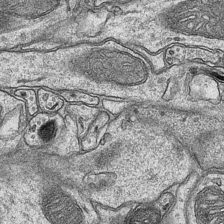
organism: Mouse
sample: CA1 Hippocampus